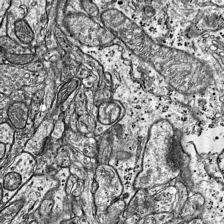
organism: Mouse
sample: Visual Cortex